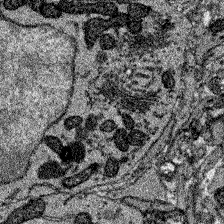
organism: Zebrafish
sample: Larval olfactory bulb